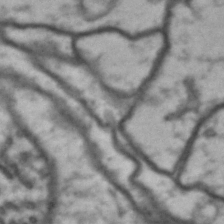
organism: Drosophila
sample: Brain